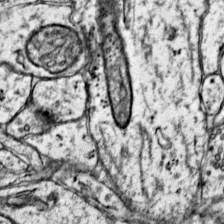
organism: Mouse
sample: Primary visual cortex